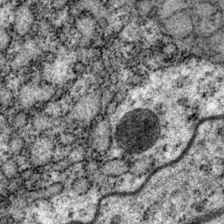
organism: P. pacificus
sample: Pharynx